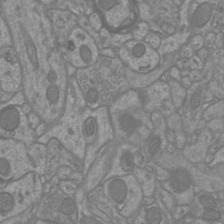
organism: Mouse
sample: Cortical neurons